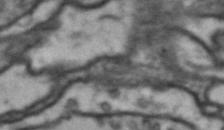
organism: Drosophila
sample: Brain